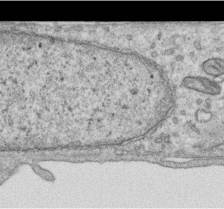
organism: Human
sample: Centriole in RPE cells